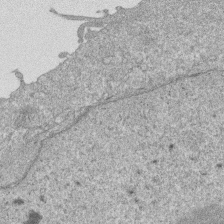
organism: Human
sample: HeLa cell HIV synapse